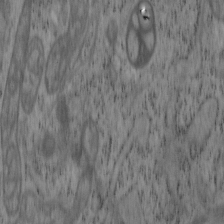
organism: Human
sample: HeLa cells